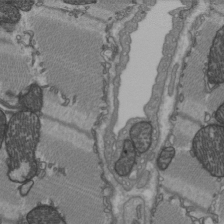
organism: C57BL Mouse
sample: Heart